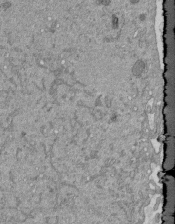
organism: Mouse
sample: ED-1 cell nuclei; centrioles